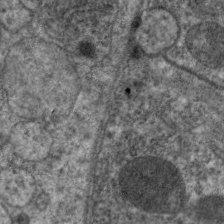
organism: C. elegans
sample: Pharynx